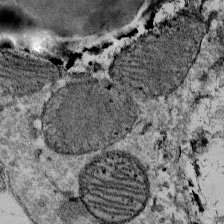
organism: Mouse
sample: Mouse Salivary gland